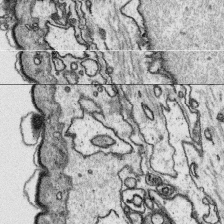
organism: Platynereis dumerilii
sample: Parapodia